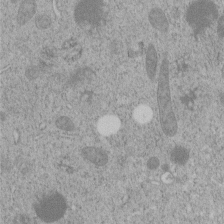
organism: C. elegans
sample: C. elegans embryo early stage